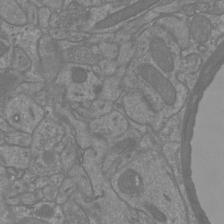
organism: Mouse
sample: Cortical neurons